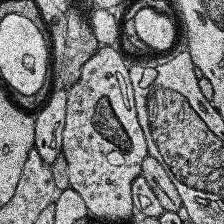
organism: Human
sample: Temporal Lobe